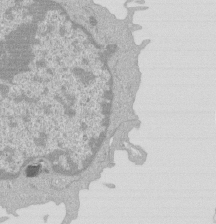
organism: Mouse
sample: Activated Pmel transgenic CD8+ T Cells